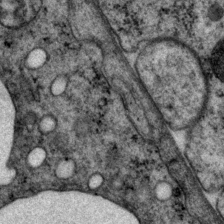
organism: P. pacificus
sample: Pharynx